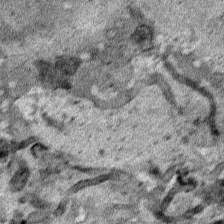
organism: Human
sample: Mitochondria in HCT116 cells